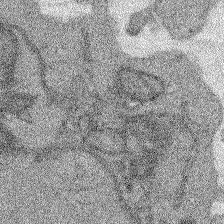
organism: Human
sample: HeLa cells